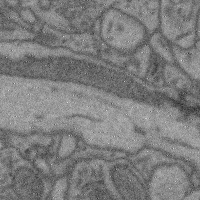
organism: Mouse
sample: Cerebral cortex